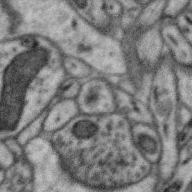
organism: Zebra finch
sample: Brain